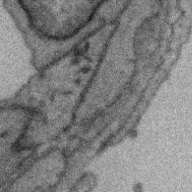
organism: Zebra finch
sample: Brain